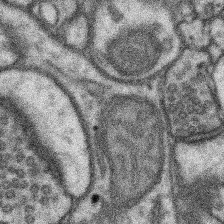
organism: Mouse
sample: Somatosensory cortex neuropil